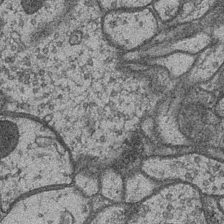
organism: Drosophila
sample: Optic medulla